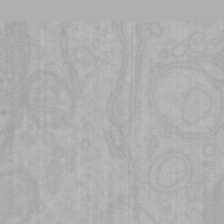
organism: Mouse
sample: Choroid plexus